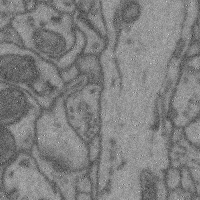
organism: Mouse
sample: Cerebral cortex